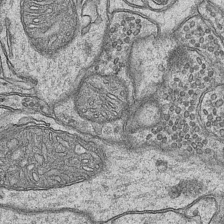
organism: Mouse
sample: CA1 Hippocampus